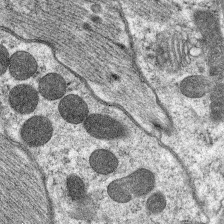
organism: C. elegans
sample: Pharynx